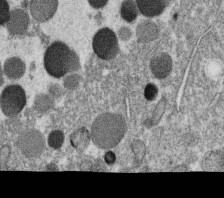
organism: C. elegans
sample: C. elegans oocyte; sperm cells